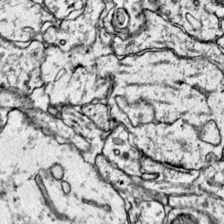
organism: Mouse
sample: Primary visual cortex